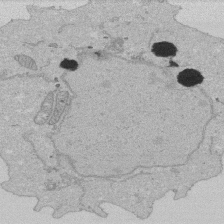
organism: Human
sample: Activated Jurkat CD4+ T cells